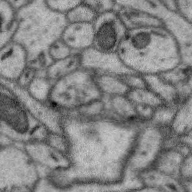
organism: Zebra finch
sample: Brain